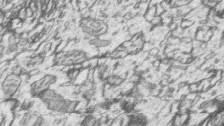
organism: Zebrafish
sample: synaptic ribbons in rod cells and cone cells